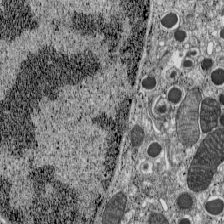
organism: C57BL Mouse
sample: Pancreatic islet